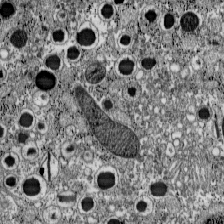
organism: C57BL Mouse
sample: Pancreatic islet